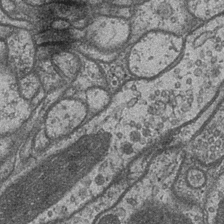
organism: Drosophila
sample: Optic medulla